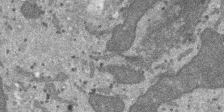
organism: Human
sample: Lung epithelial cells infected with SARS-CoV-2